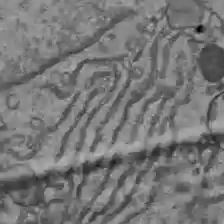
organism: C57BL Mouse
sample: Liver